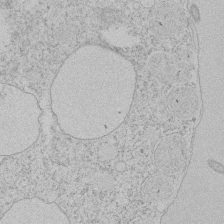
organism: Tetrahymena